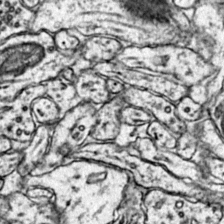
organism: Mouse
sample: Primary visual cortex